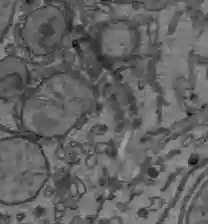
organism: C57BL Mouse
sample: Liver